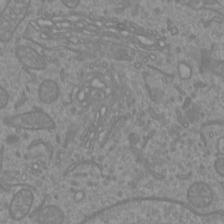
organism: Mouse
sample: Cortical neurons